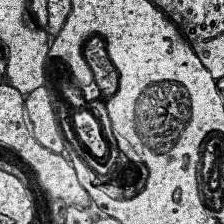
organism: Human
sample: Temporal Lobe